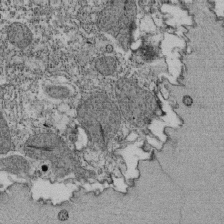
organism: Tetrahymena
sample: Cilia in tetrahymena